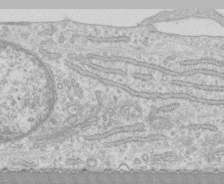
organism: Human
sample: CRL-1474